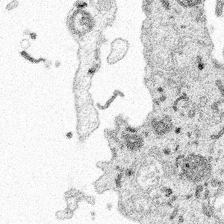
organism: Spongilla lacustris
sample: Multiple